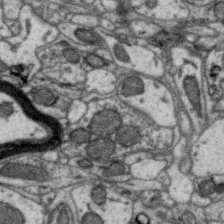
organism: Zebra finch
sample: Brain